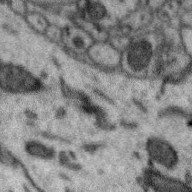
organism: Zebra finch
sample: Brain